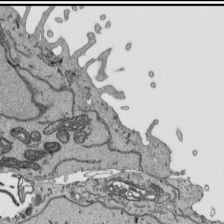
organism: Human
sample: Mitochondria in HCT116 cells